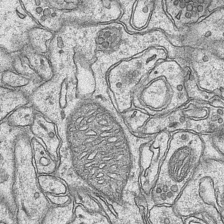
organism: Mouse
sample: CA1 Hippocampus